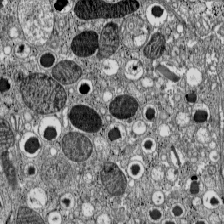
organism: C57BL Mouse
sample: Pancreatic islet